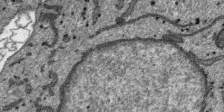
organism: Human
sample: Lung epithelial cells, uninfected (mock) control